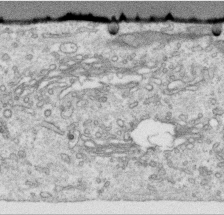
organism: Human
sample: Centriole in RPE cells